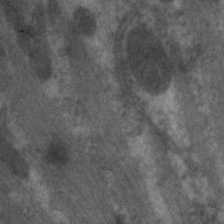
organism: C. elegans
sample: Pharynx